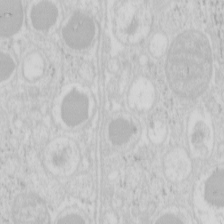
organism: Mouse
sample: Pancreas